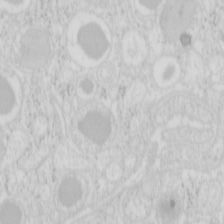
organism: Mouse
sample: Pancreas